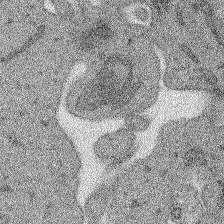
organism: Human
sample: HeLa cells